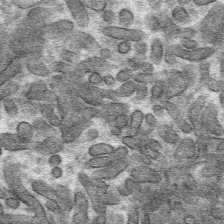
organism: Mouse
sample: Mouse hepatocytes